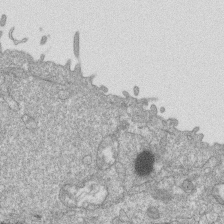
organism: Human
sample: HeLa cell HIV synapse